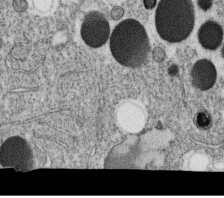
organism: C. elegans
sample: C. elegans oocyte; sperm cells